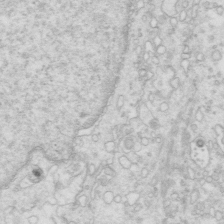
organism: Mouse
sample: Multiciliated cells